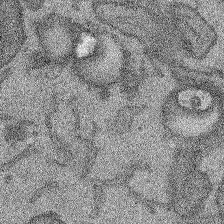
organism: Human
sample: HeLa cells